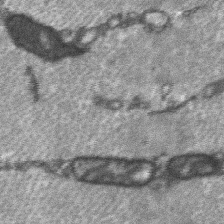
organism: C57BL Mouse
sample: Soleus